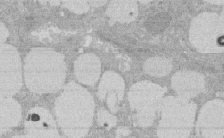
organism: Rat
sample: Salivary granule